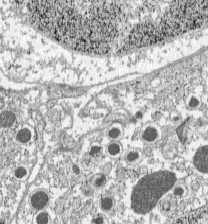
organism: C57BL Mouse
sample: Pancreatic islet